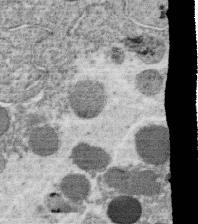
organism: C. elegans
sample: C. elegans oocyte; sperm cells